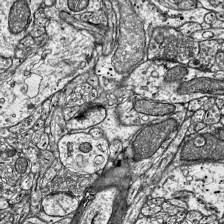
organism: Mouse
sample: Visual Cortex